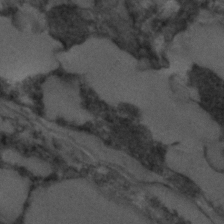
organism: C. elegans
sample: C. elegans embryo